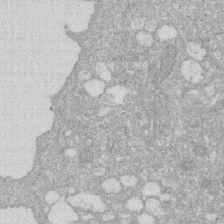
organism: Human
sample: HIV infected U937 cells